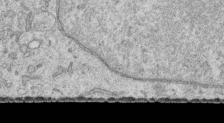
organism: Human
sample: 1205lu cells